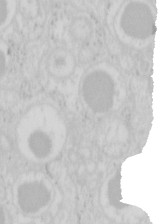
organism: Mouse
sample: Pancreas